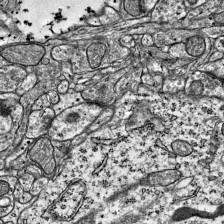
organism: Mouse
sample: Visual Cortex